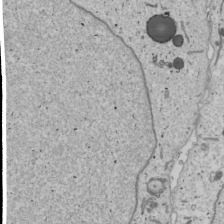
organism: Human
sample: Mitochondria in U2OS cells